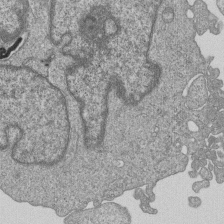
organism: Human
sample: MDA-MB-231 cells